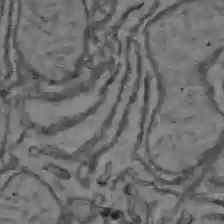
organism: C57BL Mouse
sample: Liver